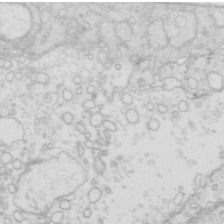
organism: Mouse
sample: Multiciliated cells